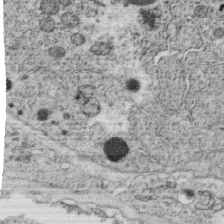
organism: C. elegans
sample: C. elegans oocyte; sperm cells